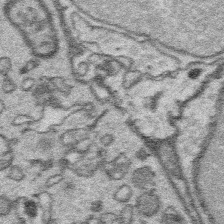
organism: Platynereis dumerilii